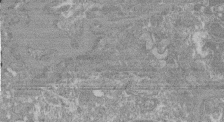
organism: Mouse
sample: Glomerulus